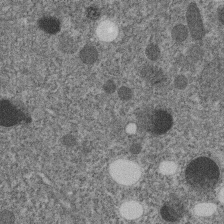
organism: C. elegans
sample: C. elegans embryo early stage